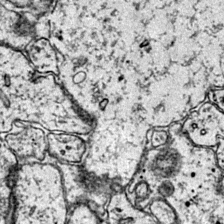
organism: Mouse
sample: Primary visual cortex